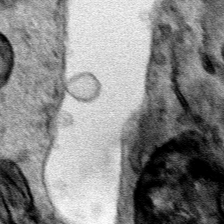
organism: Human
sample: Mitochondria in HCT116 cells